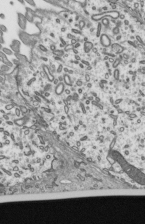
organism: Mouse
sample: Mouse epididymis efferent ductule cilia